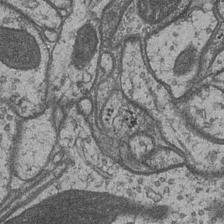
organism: Drosophila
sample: Optic medulla